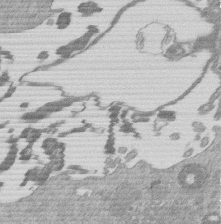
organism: Mouse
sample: Dividing mouse embryo 1 cell stage